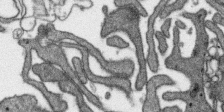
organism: Human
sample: Lung epithelial cells, uninfected (mock) control